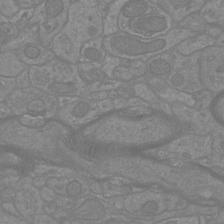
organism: Mouse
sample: Cortical neurons